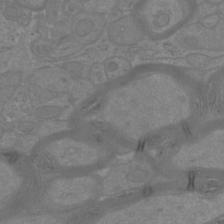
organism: Mouse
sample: Cortical neurons